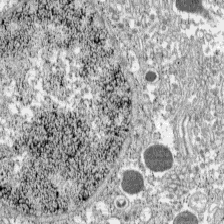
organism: C57BL Mouse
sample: Pancreatic islet